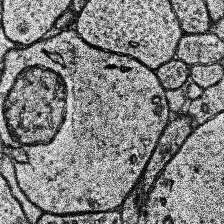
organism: Human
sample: Temporal Lobe